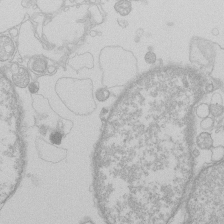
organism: Human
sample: Macrophage cells